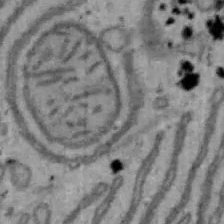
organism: Mouse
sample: Liver